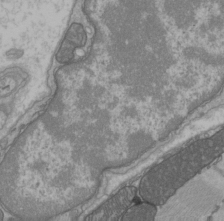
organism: C57BL Mouse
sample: Heart